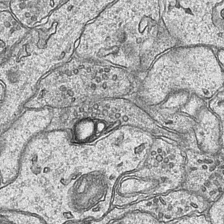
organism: Mouse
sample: CA1 Hippocampus